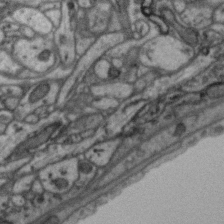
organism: Zebra finch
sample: Brain